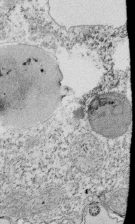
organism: Tetrahymena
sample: Cilia in tetrahymena